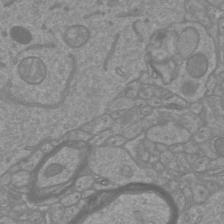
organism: Mouse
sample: Cortical neurons